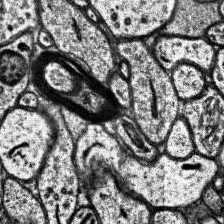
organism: Human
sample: Temporal Lobe